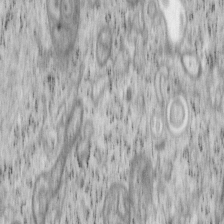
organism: Human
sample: HeLa cells